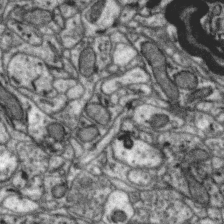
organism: Zebra finch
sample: Brain